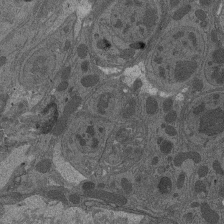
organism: Drosophila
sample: Antenna